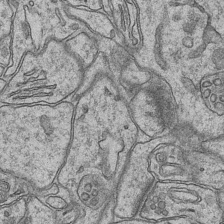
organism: Mouse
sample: CA1 Hippocampus